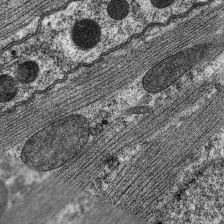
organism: C. elegans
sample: Pharynx